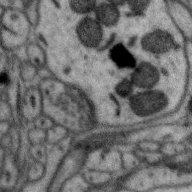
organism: Zebra finch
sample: Brain